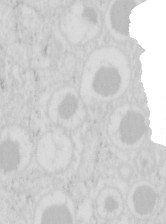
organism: Mouse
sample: Pancreas